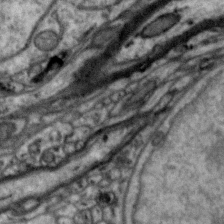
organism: Zebra finch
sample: Brain